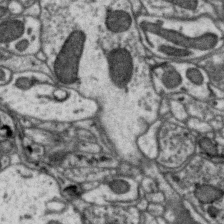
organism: Zebra finch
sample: Brain